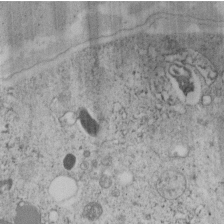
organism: C. elegans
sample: C. elegans embryo early stage